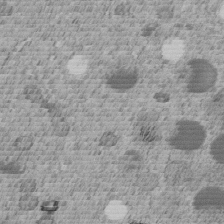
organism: C. elegans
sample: C. elegans embryo early stage